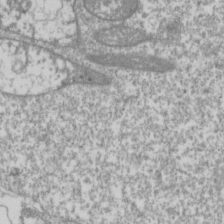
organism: Drosophila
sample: Cell division; meiosis; drosophila spermatocytes